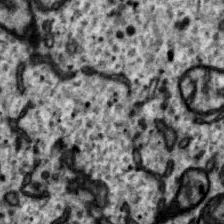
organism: Human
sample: HeLa cells